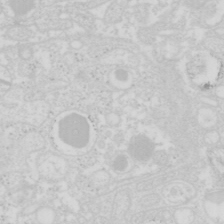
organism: Mouse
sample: Pancreas